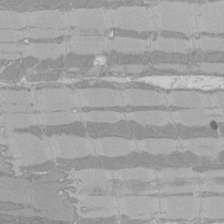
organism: Rat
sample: Left ventricle